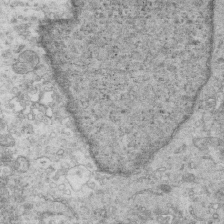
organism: Mouse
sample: Multiciliated cells